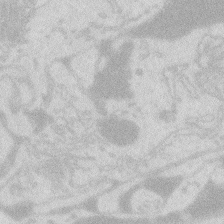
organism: Zebrafish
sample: Macrophage